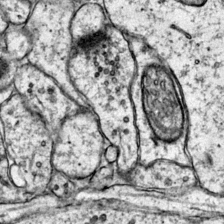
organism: Mouse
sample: Primary visual cortex